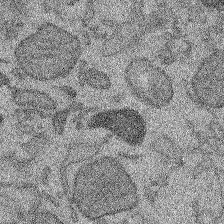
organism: Human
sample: HeLa cells